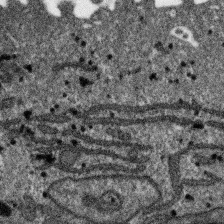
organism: Human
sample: Lung epithelial cells infected with SARS-CoV-2